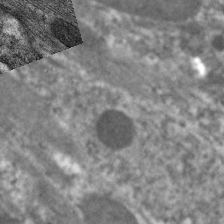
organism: C. elegans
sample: Pharynx